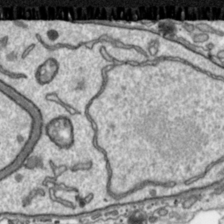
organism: Toxoplasma gondii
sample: Parasites in a vacuole inside a host cell